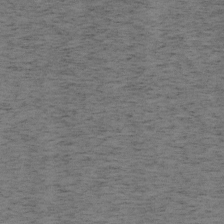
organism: Mouse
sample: OT-I killer T cells with ID8 ovarian cancer cells